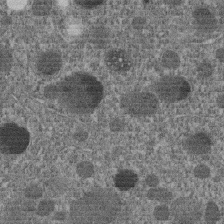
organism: C. elegans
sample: C. elegans embryo early stage